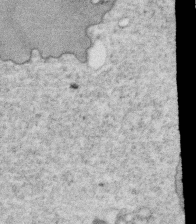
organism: C. elegans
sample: C. elegans oocyte; sperm cells